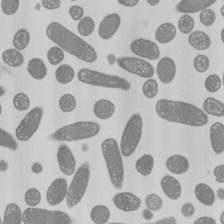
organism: E. coli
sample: Bacterial nucleoid